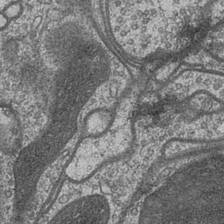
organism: Drosophila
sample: Optic medulla